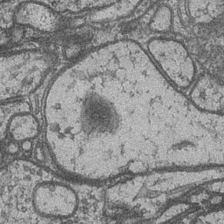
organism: Drosophila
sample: Optic medulla